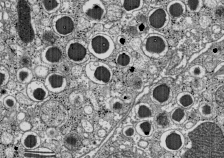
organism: C57BL Mouse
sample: Pancreatic islet